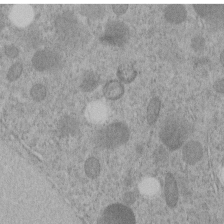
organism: C. elegans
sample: C. elegans embryo early stage